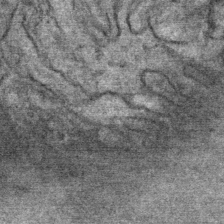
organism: Mouse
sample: Mouse Salivary gland